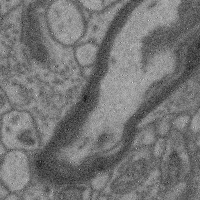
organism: Mouse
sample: Cerebral cortex